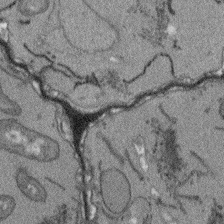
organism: Arabidopsis thaliana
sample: Root tip